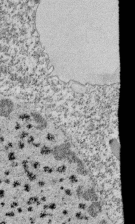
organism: Tetrahymena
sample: Cilia in tetrahymena